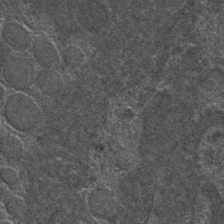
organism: C. elegans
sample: C. elegans embryo